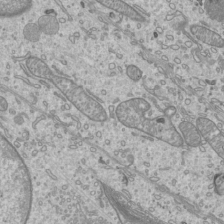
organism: Mouse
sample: Cilia; mouse epididymis